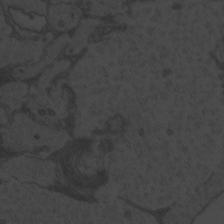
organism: Zebrafish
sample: Macrophage infected with Toxoplasma gondii